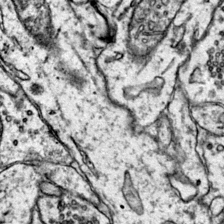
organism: Mouse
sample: Primary visual cortex